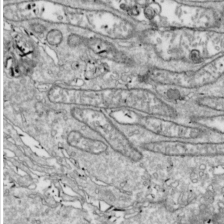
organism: Drosophila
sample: Cell division; meiosis; drosophila spermatocytes